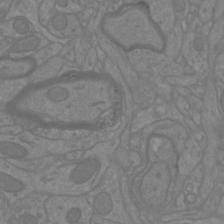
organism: Mouse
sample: Cortical neurons